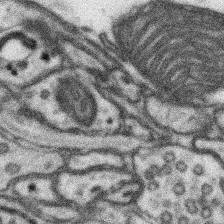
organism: Mouse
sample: Somatosensory cortex neuropil